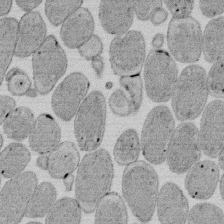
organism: E. coli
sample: Bacterial nucleoid